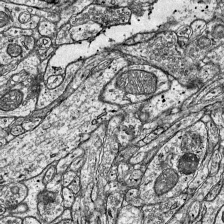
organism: Mouse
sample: Visual Cortex